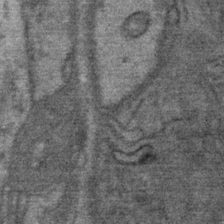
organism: Mouse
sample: Mouse Salivary gland